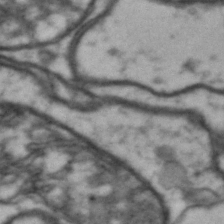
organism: Drosophila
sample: Brain